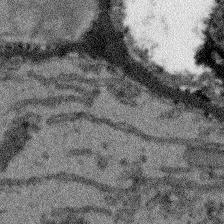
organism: Arabidopsis thaliana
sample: Root tip